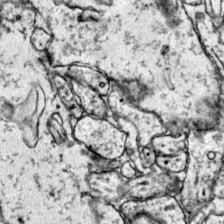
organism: Mouse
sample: Primary visual cortex